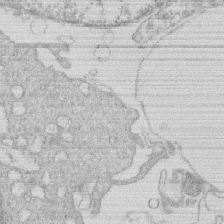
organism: Human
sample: Macrophage cells